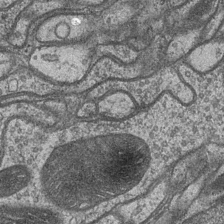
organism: Drosophila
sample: Optic medulla